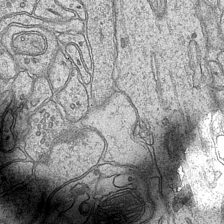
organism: Mouse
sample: CA1 Hippocampus